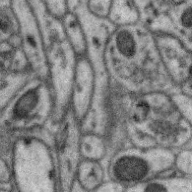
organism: Zebra finch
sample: Brain